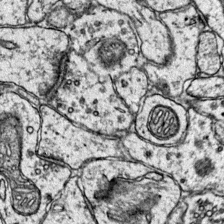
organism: Mouse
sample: Primary visual cortex